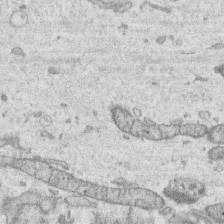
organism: Human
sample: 1205lu cells